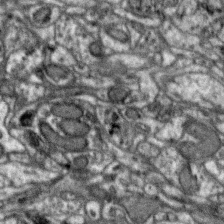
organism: Zebra finch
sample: Brain